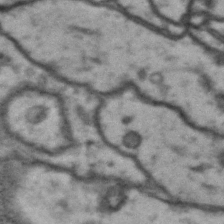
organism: Drosophila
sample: Brain